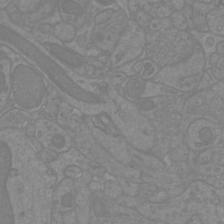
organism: Mouse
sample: Cortical neurons